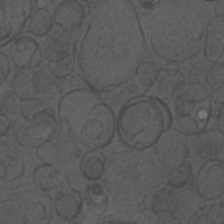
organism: C. elegans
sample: C. elegans embryo